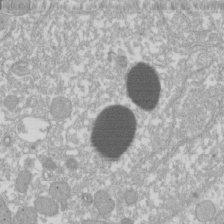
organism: Xenopus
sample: Cilia; centrioles in frog embryo cells